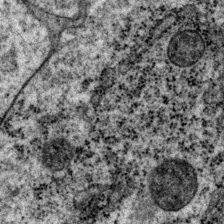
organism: P. pacificus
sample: Pharynx